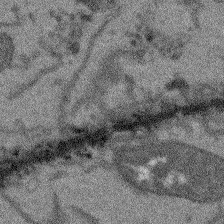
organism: Arabidopsis thaliana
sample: Root tip